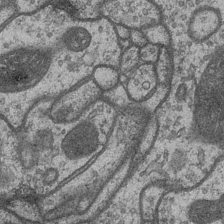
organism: Drosophila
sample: Optic medulla